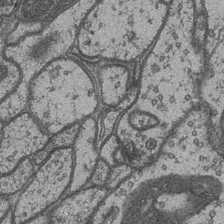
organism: Drosophila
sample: Optic medulla